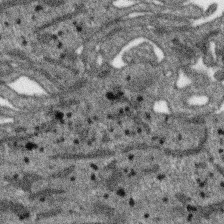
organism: Human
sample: Lung epithelial cells infected with SARS-CoV-2